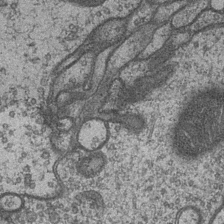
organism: Drosophila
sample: Optic medulla